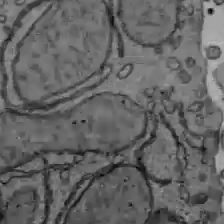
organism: C57BL Mouse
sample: Liver